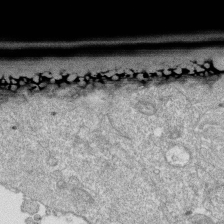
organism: Human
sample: HeLa cell HIV synapse